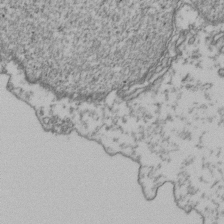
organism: Human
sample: Activated Jurkat CD4+ T cells